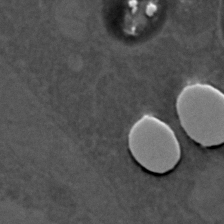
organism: C. elegans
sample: C. elegans embryo